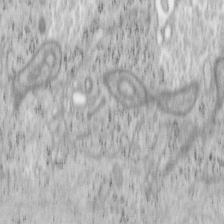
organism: Human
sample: HeLa cells